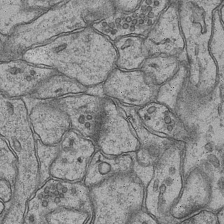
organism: Mouse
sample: CA1 Hippocampus